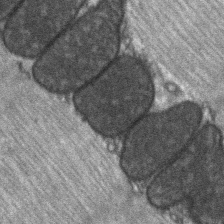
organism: C57BL Mouse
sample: Soleus